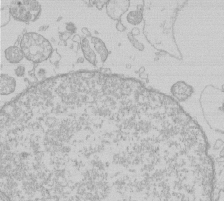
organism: Human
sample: Macrophage cells